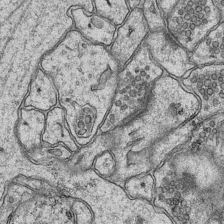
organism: Mouse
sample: CA1 Hippocampus